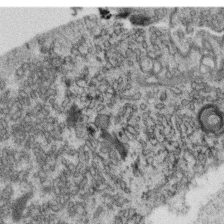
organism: C. elegans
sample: C. elegans oocyte; sperm cells